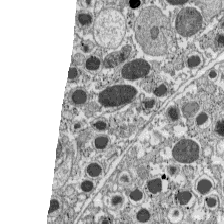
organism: C57BL Mouse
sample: Pancreatic islet